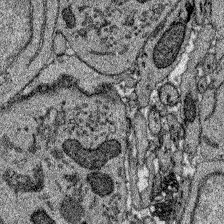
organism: Zebrafish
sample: Larval olfactory bulb